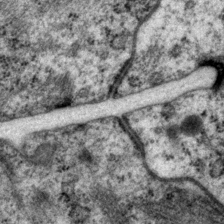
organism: P. pacificus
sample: Pharynx